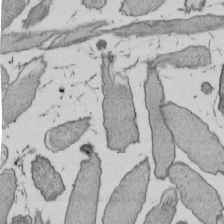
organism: E. coli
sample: Bacterial nucleoid